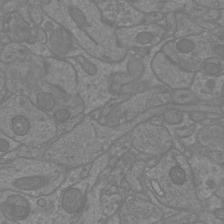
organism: Mouse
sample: Cortical neurons